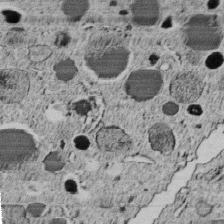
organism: C. elegans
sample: C. elegans embryo early stage